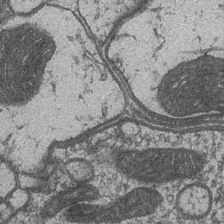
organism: Drosophila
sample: Optic medulla